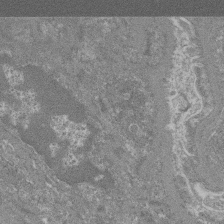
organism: Mouse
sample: Glomerulus